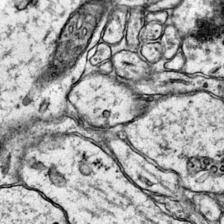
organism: Mouse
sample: Primary visual cortex